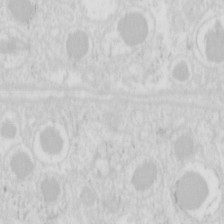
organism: Mouse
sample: Pancreas